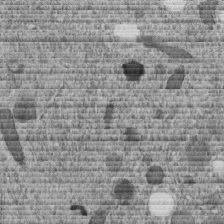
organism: C. elegans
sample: C. elegans embryo early stage